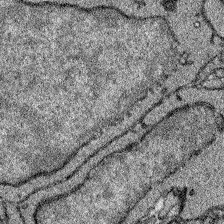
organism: Zebrafish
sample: Larval olfactory bulb